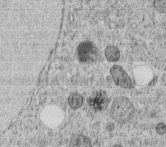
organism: C. elegans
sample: C. elegans embryo early stage